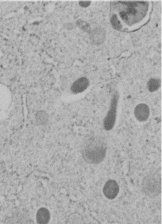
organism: C. elegans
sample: C. elegans embryo early stage